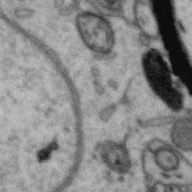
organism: Zebra finch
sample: Brain